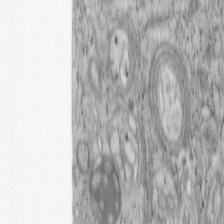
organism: Human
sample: HeLa cells